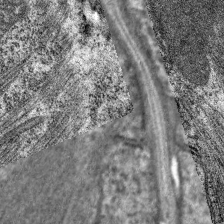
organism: C. elegans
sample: Pharynx